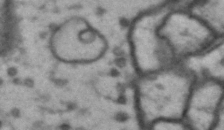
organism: Drosophila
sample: Brain